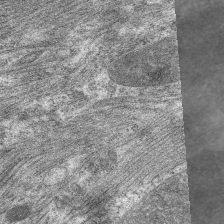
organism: C. elegans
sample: Pharynx